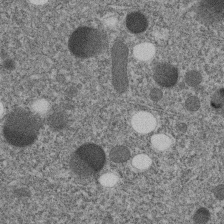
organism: C. elegans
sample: C. elegans embryo early stage